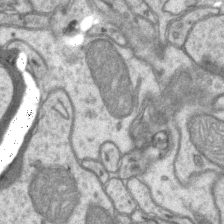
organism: Mouse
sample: CA1 Hippocampus